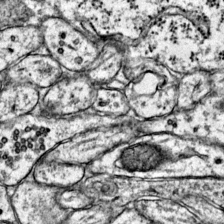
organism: Mouse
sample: Primary visual cortex